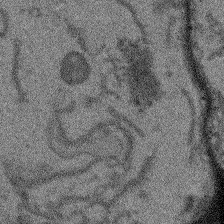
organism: Arabidopsis thaliana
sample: Root tip